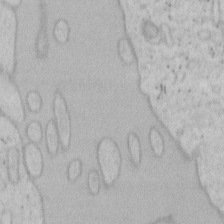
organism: Human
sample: HeLa cells